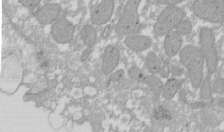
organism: Xenopus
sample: Cilia; centrioles in frog embryo cells